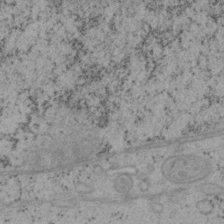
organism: Human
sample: HeLa cells